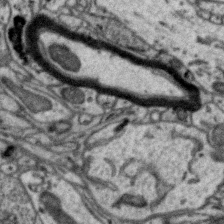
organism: Zebra finch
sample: Brain